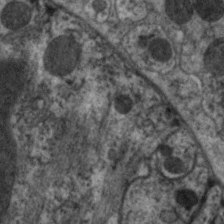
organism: C. elegans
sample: Pharynx